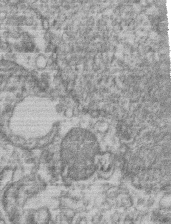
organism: Mouse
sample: T cell stromal cell synapse